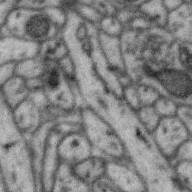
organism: Zebra finch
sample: Brain